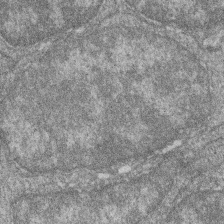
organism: Zebrafish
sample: Cilia; retinal pigment epithelium